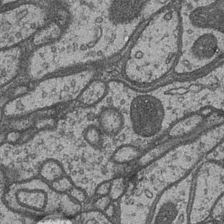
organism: Drosophila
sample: Optic medulla